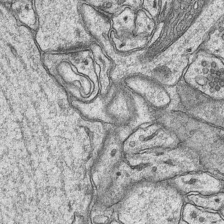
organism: Mouse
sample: CA1 Hippocampus